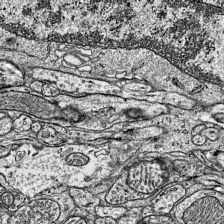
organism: Mouse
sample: Visual Cortex